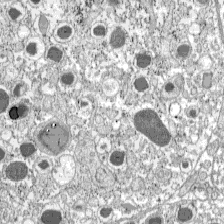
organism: C57BL Mouse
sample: Pancreatic islet